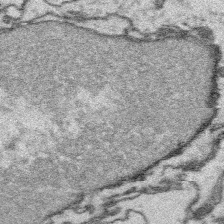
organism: Platynereis dumerilii